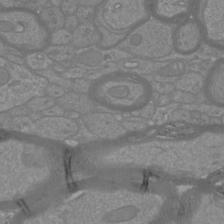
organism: Mouse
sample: Cortical neurons